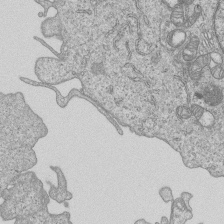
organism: Human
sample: MDA-MB-231 cells